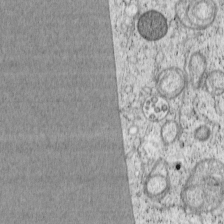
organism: African green monkey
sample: COS-7 cells